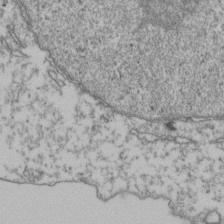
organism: Human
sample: Activated Jurkat CD4+ T cells